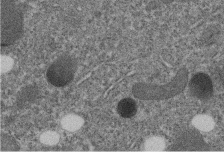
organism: C. elegans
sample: C. elegans embryo early stage